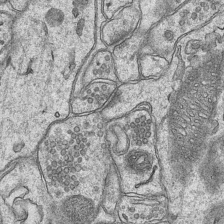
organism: Mouse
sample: CA1 Hippocampus